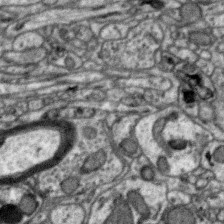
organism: Zebra finch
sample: Brain